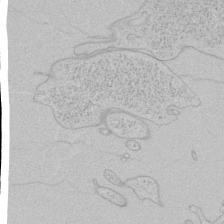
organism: Human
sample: Mitochondria in HCT116 cells